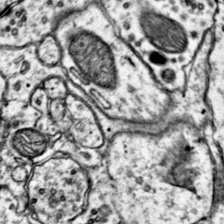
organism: Mouse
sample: Primary visual cortex